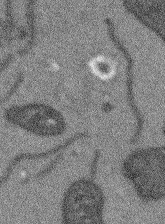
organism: Arabidopsis thaliana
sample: Root tip